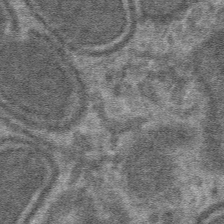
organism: Mouse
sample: Mouse hepatocytes